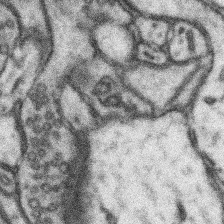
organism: Mouse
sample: Somatosensory cortex neuropil